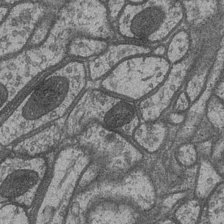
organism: Drosophila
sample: Optic medulla